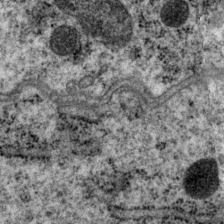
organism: P. pacificus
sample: Pharynx